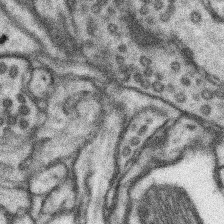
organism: Mouse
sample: Somatosensory cortex neuropil